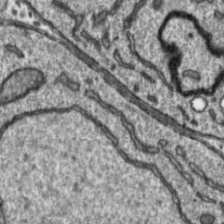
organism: Toxoplasma gondii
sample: Parasites in a vacuole inside a host cell